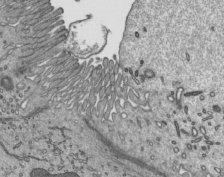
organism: Mouse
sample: Mouse epididymis efferent ductule cilia